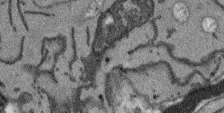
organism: Arabidopsis thaliana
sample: Root tip